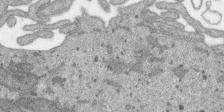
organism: Human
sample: Lung epithelial cells infected with SARS-CoV-2